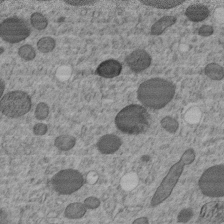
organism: C. elegans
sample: C. elegans embryo early stage